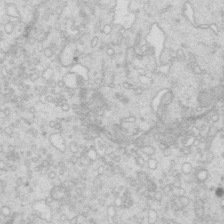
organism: Mouse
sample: Multiciliated cells